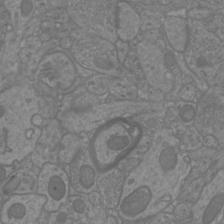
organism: Mouse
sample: Cortical neurons